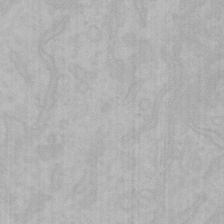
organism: Mouse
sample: Choroid plexus